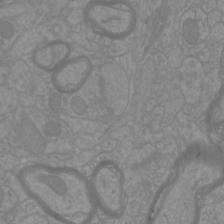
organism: Mouse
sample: Cortical neurons